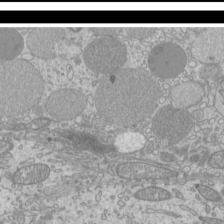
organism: Mouse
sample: Cilia; mouse epididymis